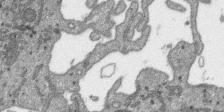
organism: Human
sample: Lung epithelial cells infected with SARS-CoV-2